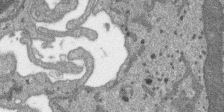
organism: Human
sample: Lung epithelial cells infected with SARS-CoV-2